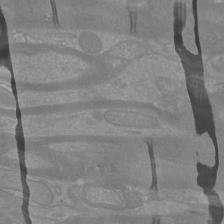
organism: Mouse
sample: Cortical neurons